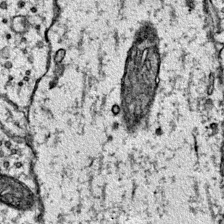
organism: Mouse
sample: Primary visual cortex